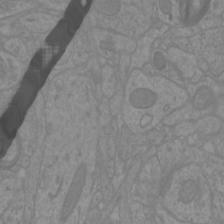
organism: Mouse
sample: Cortical neurons